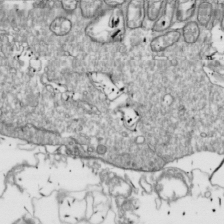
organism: Drosophila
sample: Cell division; meiosis; drosophila spermatocytes